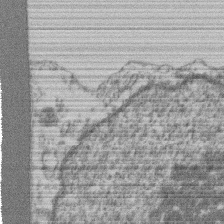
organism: Mouse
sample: T cell stromal cell synapse